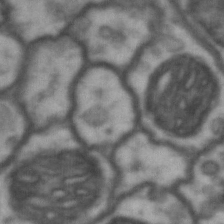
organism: Drosophila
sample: Brain